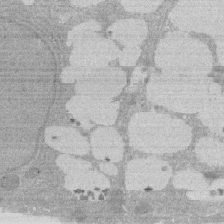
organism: Rat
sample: Salivary granule